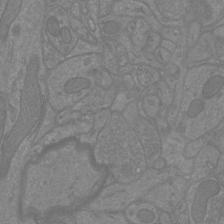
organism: Mouse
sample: Cortical neurons